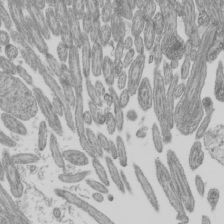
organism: Mouse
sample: Cilia; mouse epididymis